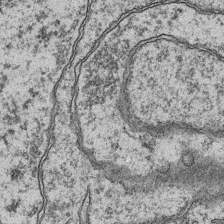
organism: Mouse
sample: CA1 Hippocampus